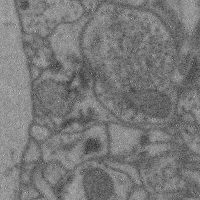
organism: Mouse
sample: Cerebral cortex